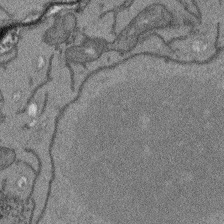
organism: Arabidopsis thaliana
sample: Root tip